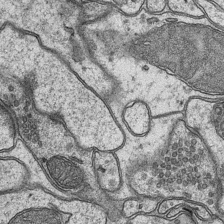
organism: Mouse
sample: CA1 Hippocampus